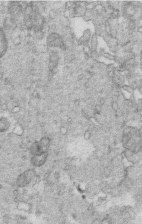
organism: Mouse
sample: Multiciliated cells